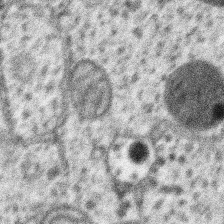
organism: Human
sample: HeLa cells